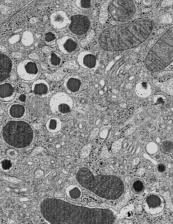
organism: C57BL Mouse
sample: Pancreatic islet